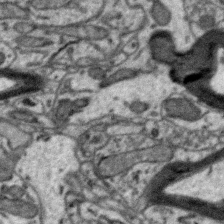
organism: Zebra finch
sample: Brain